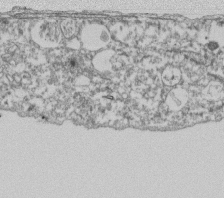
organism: Dictyostelium discoideum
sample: Dictyostelium multivesicular bodies